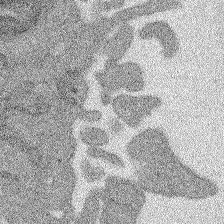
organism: Human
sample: HeLa cells